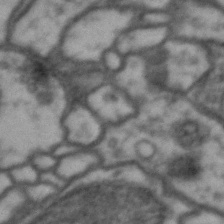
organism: Drosophila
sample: Brain